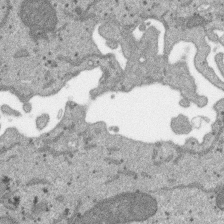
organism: Human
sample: Lung epithelial cells infected with SARS-CoV-2